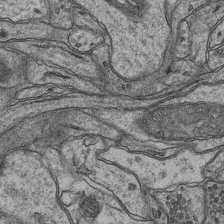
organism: Mouse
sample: CA1 Hippocampus